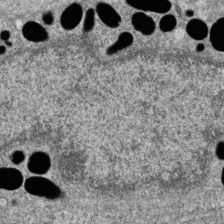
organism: Zebrafish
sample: Cilia; retinal pigment epithelium